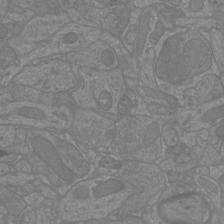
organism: Mouse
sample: Cortical neurons